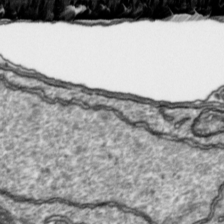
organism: Toxoplasma gondii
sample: Parasites in a vacuole inside a host cell